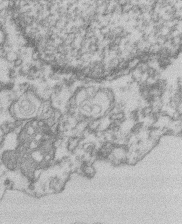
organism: Mouse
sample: T cell stromal cell synapse